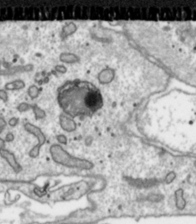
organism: Toxoplasma gondii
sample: Parasites in a vacuole inside a host cell